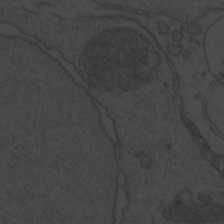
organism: Zebrafish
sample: Macrophage infected with Toxoplasma gondii